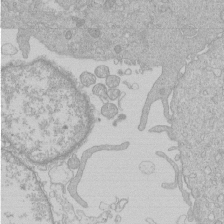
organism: Human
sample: Macrophage cells